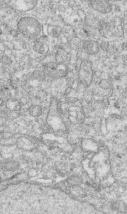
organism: Human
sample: HeLa cell HIV synapse